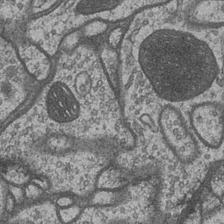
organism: Drosophila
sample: Optic medulla